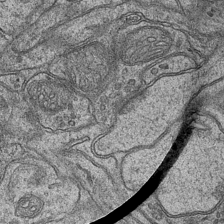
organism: Mouse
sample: CA1 Hippocampus